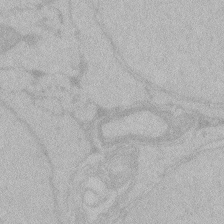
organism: Zebrafish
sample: Macrophage infected with Toxoplasma gondii